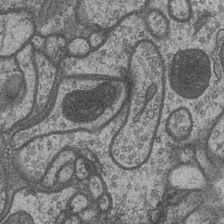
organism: Drosophila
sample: Optic medulla